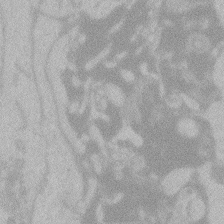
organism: Zebrafish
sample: Macrophage infected with Toxoplasma gondii